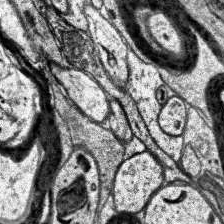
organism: Human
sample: Temporal Lobe